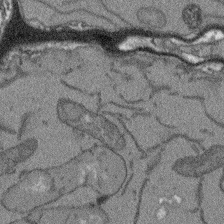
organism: Arabidopsis thaliana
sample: Root tip